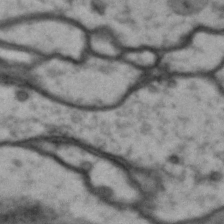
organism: Drosophila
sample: Brain